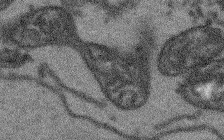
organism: Arabidopsis thaliana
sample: Root tip